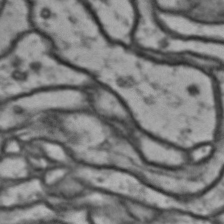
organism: Drosophila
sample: Brain